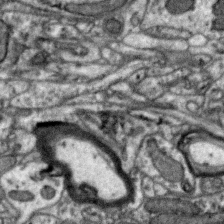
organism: Zebra finch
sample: Brain